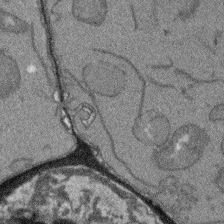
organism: Arabidopsis thaliana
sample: Root tip